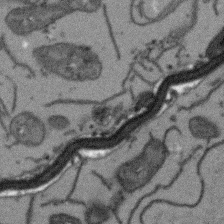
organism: Arabidopsis thaliana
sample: Root tip